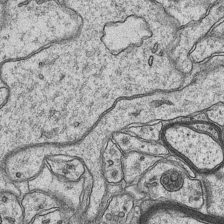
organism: Mouse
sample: CA1 Hippocampus